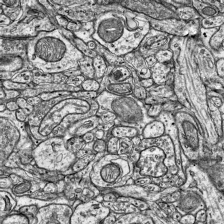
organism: Mouse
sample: Visual Cortex